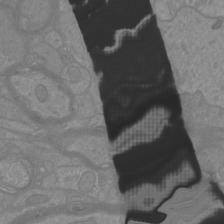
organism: Mouse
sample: Cortical neurons